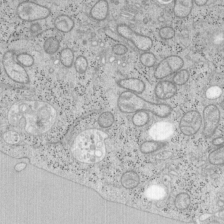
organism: Mouse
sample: OT-I killer T cells with ID8 ovarian cancer cells